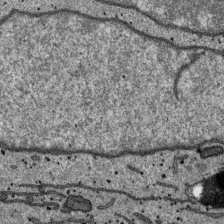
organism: Human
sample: Lung epithelial cells, uninfected (mock) control